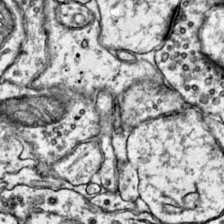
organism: Mouse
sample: Primary visual cortex